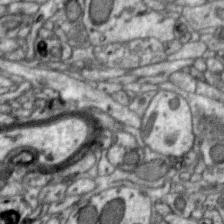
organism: Zebra finch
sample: Brain